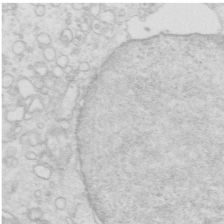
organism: Mouse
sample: Multiciliated cells